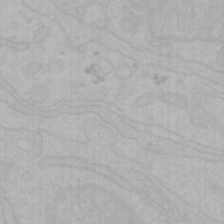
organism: Mouse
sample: Choroid plexus